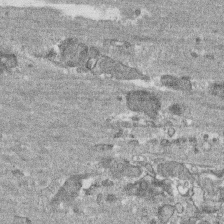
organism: Human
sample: CRL-1474